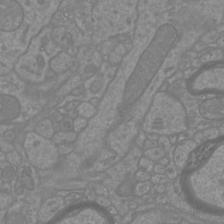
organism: Mouse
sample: Cortical neurons